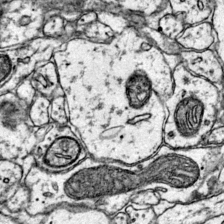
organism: Mouse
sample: Primary visual cortex